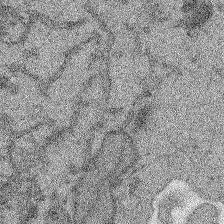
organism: Human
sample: HeLa cells